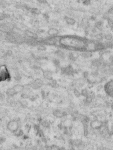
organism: Human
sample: Centriole in RPE cells